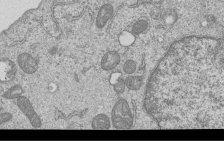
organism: Human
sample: MDA-MB-231 cells